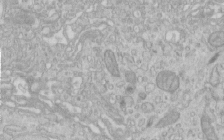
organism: Human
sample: Centriole in RPE cells